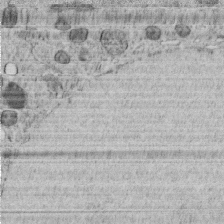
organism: C. elegans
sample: C. elegans embryo early stage